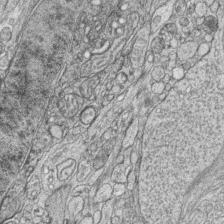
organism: Zebrafish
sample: synaptic ribbons in rod cells and cone cells